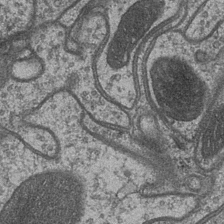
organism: Drosophila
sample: Optic medulla